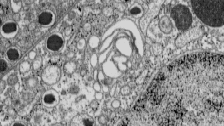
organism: C57BL Mouse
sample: Pancreatic islet